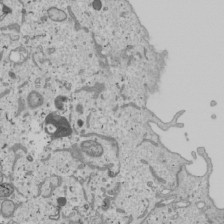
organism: Human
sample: Mitochondria in U2OS cells